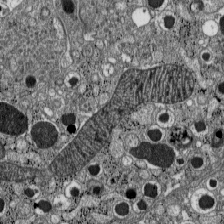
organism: C57BL Mouse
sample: Pancreatic islet